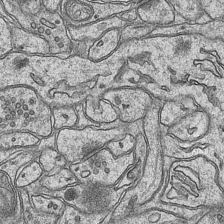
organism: Mouse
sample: CA1 Hippocampus